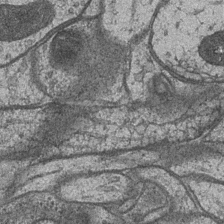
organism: Drosophila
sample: Optic medulla